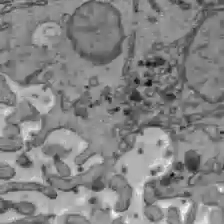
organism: C57BL Mouse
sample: Liver